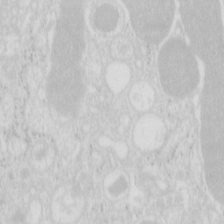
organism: Mouse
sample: Pancreas